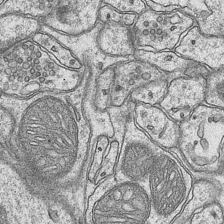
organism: Mouse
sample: CA1 Hippocampus